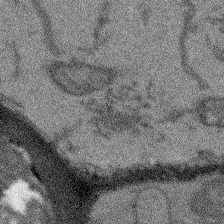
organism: Arabidopsis thaliana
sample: Root tip